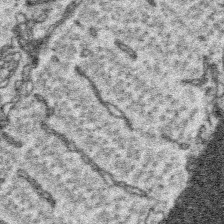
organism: Platynereis dumerilii